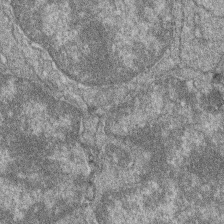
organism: Zebrafish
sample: Cilia; retinal pigment epithelium